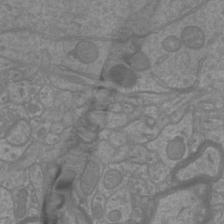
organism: Mouse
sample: Cortical neurons